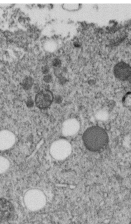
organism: C. elegans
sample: C. elegans embryo early stage